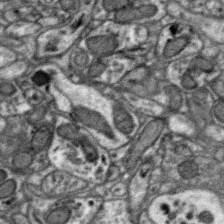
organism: Zebra finch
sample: Brain